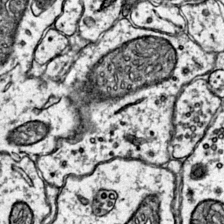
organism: Mouse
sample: Primary visual cortex